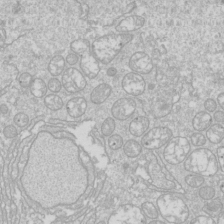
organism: Drosophila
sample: Cell division; meiosis; drosophila spermatocytes